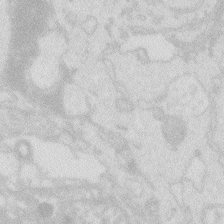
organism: Zebrafish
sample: Macrophage